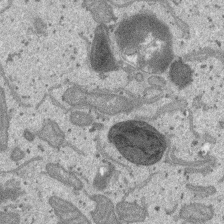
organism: Human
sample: Lung epithelial cells infected with SARS-CoV-2